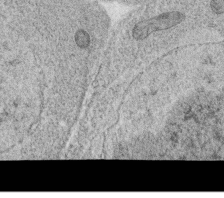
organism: C. elegans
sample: C. elegans oocyte; sperm cells